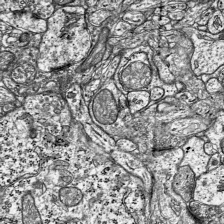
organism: Mouse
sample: Visual Cortex